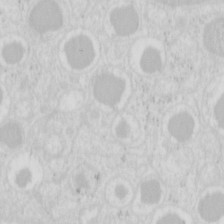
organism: Mouse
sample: Pancreas